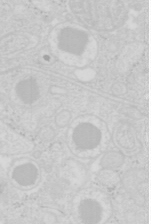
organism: Mouse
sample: Pancreas